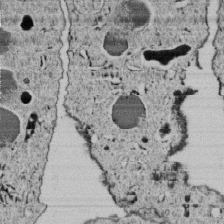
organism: C. elegans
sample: C. elegans embryo early stage